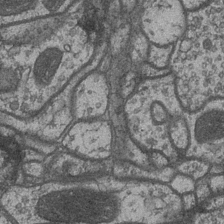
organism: Drosophila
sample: Optic medulla